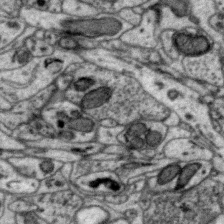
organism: Zebra finch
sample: Brain